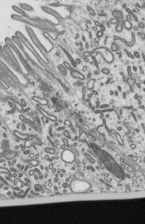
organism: Mouse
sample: Mouse epididymis efferent ductule cilia